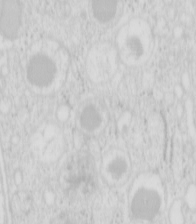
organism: Mouse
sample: Pancreas